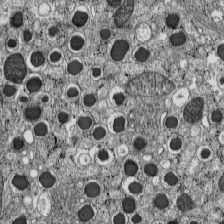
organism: C57BL Mouse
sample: Pancreatic islet